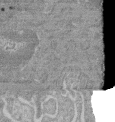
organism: Mouse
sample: Glomerulus